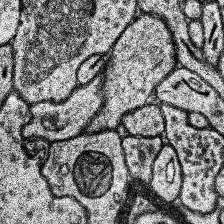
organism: Human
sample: Temporal Lobe